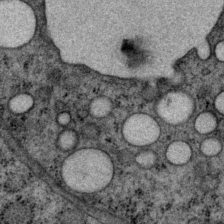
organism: P. pacificus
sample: Pharynx